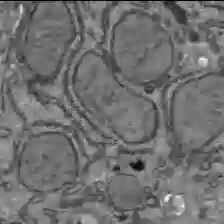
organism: C57BL Mouse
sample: Liver